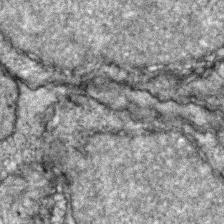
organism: Zebrafish